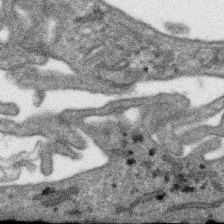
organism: Human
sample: Lung epithelial cells infected with SARS-CoV-2